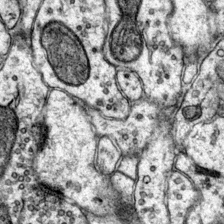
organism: Mouse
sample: Primary visual cortex